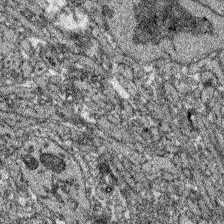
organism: Zebrafish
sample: Larval olfactory bulb